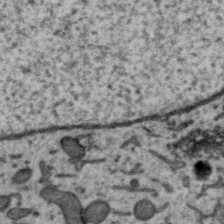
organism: Zebra finch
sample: Brain